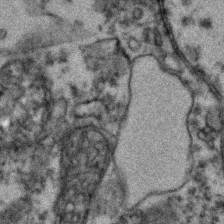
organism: Zebrafish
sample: Zebrafish embryo